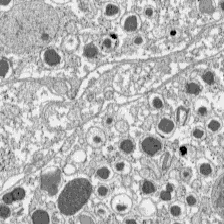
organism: C57BL Mouse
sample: Pancreatic islet